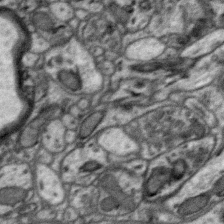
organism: Zebra finch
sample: Brain